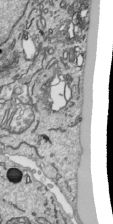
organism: Human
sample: Mitochondria in HCT116 cells